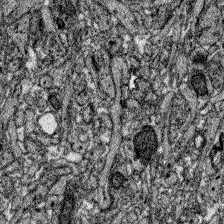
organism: Zebrafish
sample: Larval olfactory bulb